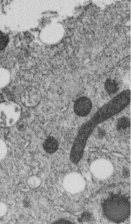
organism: C. elegans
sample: C. elegans embryo early stage